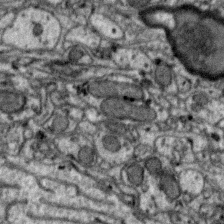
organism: Zebra finch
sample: Brain